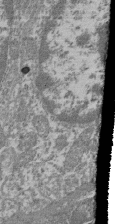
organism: Mouse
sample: Glomerulus